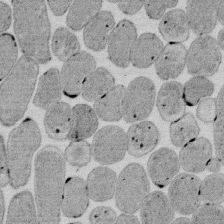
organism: E. coli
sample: Bacterial nucleoid